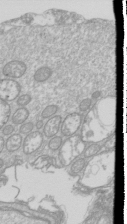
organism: Drosophila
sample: Cell division; meiosis; drosophila spermatocytes